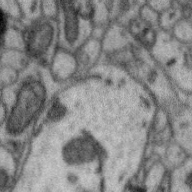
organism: Zebra finch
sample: Brain